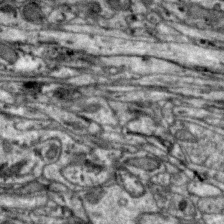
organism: Zebra finch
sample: Brain